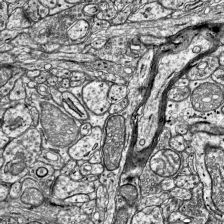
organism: Mouse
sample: Visual Cortex